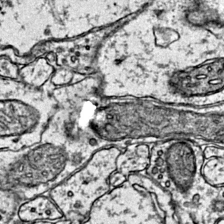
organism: Mouse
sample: Primary visual cortex